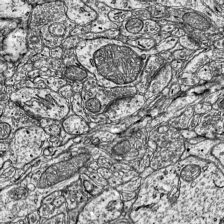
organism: Mouse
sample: Visual Cortex